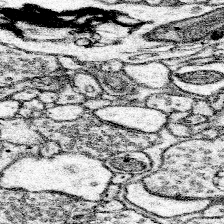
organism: Mouse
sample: Somatosensory cortex neuropil